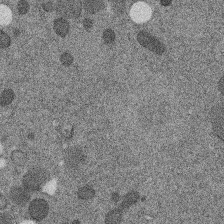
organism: C. elegans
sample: C. elegans embryo early stage